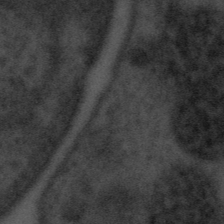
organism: Tuwongella immobilis